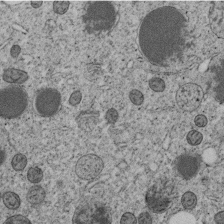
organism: C. elegans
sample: C. elegans embryo early stage